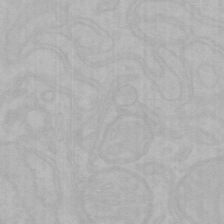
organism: Mouse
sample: Choroid plexus